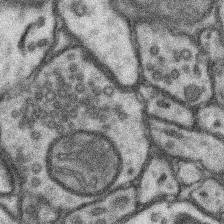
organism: Mouse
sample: Somatosensory cortex neuropil